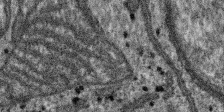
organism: Human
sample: Lung epithelial cells infected with SARS-CoV-2